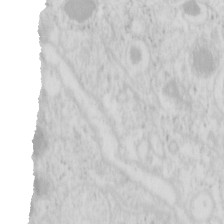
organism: Mouse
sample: Pancreas